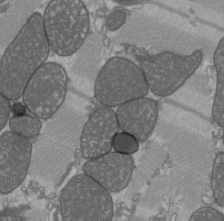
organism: C57BL Mouse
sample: Heart